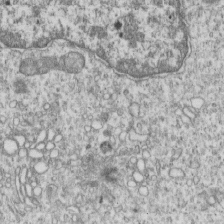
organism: Human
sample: MDA-MB-231 cells